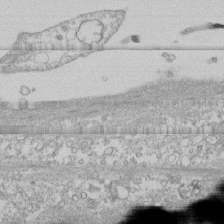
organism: Human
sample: CRL-1474